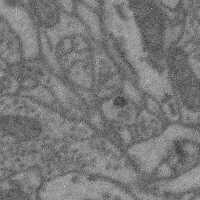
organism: Mouse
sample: Cerebral cortex